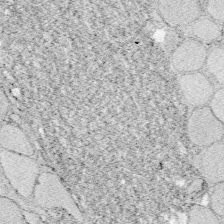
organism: Zebrafish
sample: Whole-Brain